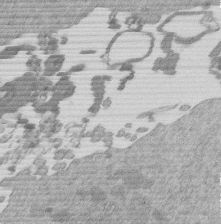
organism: Mouse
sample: Dividing mouse embryo 1 cell stage